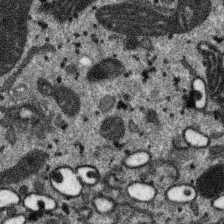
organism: Human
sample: Lung epithelial cells infected with SARS-CoV-2